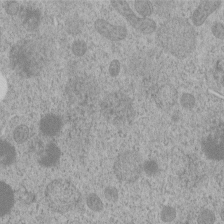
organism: C. elegans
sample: C. elegans embryo early stage